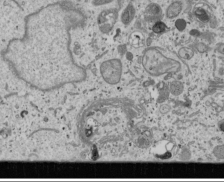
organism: Human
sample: Mitochondria in U2OS cells